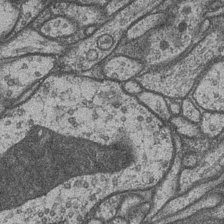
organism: Drosophila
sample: Optic medulla